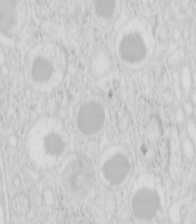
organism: Mouse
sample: Pancreas